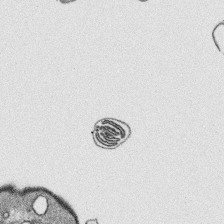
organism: Platynereis dumerilii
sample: Parapodia